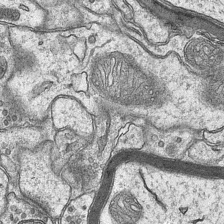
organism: Mouse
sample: CA1 Hippocampus